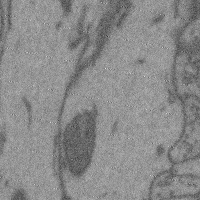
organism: Mouse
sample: Cerebral cortex